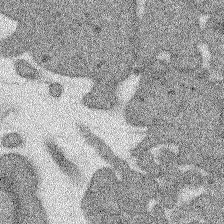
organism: Human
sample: HeLa cells